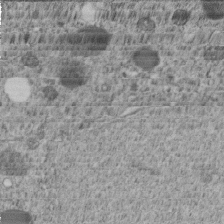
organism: C. elegans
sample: C. elegans embryo early stage